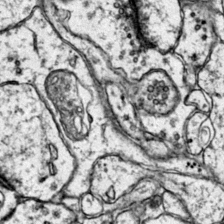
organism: Mouse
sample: Primary visual cortex